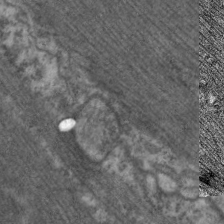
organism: C. elegans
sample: Pharynx